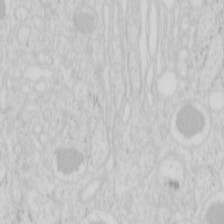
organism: Mouse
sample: Pancreas